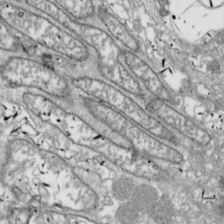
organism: Drosophila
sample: Cell division; meiosis; drosophila spermatocytes